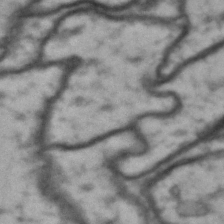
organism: Drosophila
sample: Brain